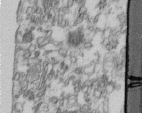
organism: Human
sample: Centriole in fibroblast cells